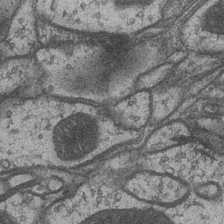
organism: Drosophila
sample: Optic medulla